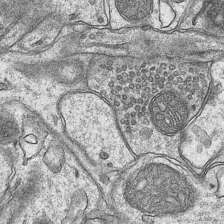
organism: Mouse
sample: CA1 Hippocampus